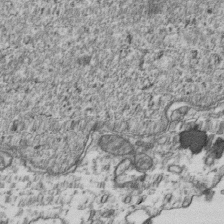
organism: Human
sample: Activated Jurkat CD4+ T cells